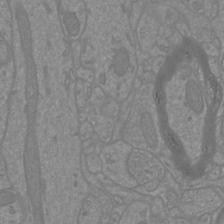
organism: Mouse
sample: Cortical neurons